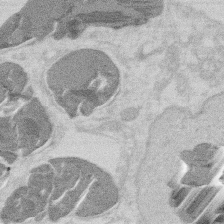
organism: Mouse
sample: T cell stromal cell synapse